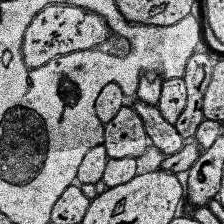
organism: Human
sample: Temporal Lobe